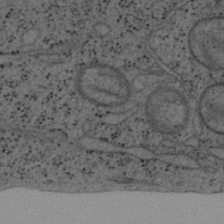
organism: Human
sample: HeLa cells